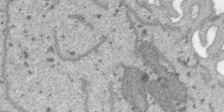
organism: Human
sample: Lung epithelial cells infected with SARS-CoV-2